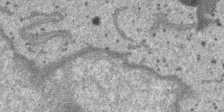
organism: Human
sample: Lung epithelial cells infected with SARS-CoV-2